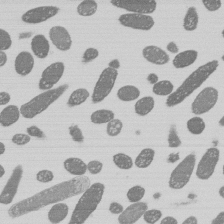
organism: E. coli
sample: Bacterial nucleoid